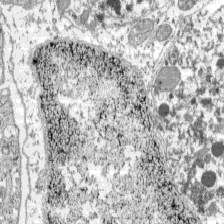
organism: C57BL Mouse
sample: Pancreatic islet